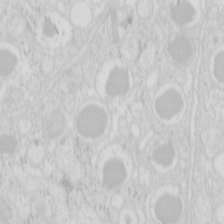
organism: Mouse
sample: Pancreas